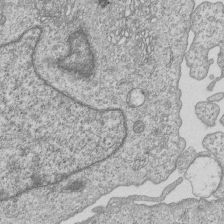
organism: Human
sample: MDA-MB-231 cells